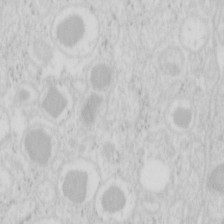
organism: Mouse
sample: Pancreas